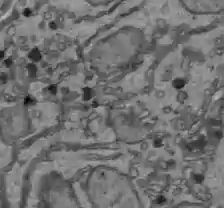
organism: C57BL Mouse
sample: Liver